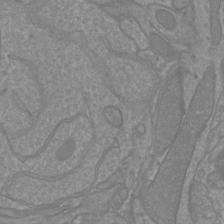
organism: Mouse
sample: Cortical neurons